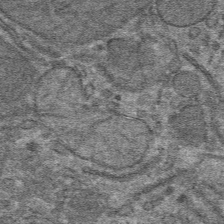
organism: Mouse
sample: Mouse hepatocytes